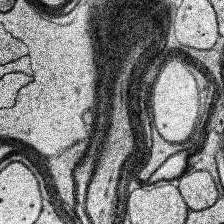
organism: Human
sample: Temporal Lobe